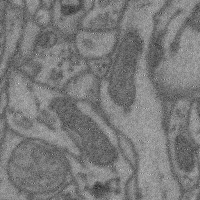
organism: Mouse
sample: Cerebral cortex